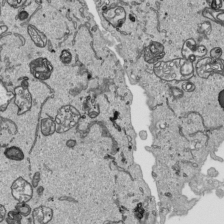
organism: Human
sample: Mitochondria in HCT116 cells